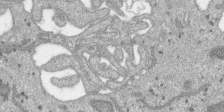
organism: Human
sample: Lung epithelial cells infected with SARS-CoV-2